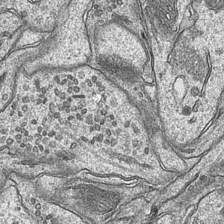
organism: Mouse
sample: CA1 Hippocampus